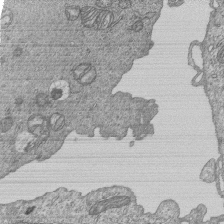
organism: Human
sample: MDA-MB-231 cells